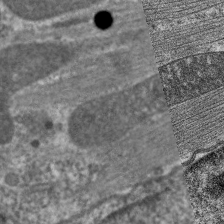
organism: C. elegans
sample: Pharynx